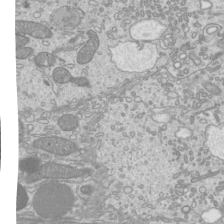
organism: Mouse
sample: Cilia; mouse epididymis